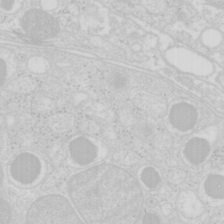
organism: Mouse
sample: Pancreas